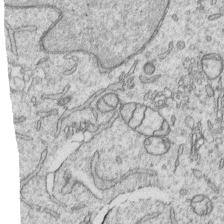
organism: Human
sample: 1205lu cells